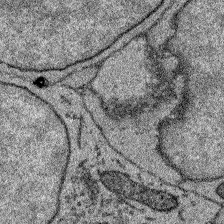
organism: Zebrafish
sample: Larval olfactory bulb